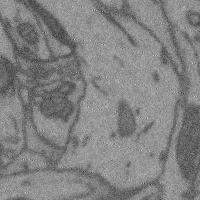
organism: Mouse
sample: Cerebral cortex